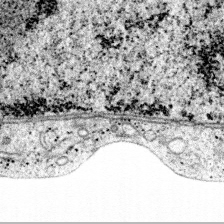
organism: Human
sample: HeLa cells